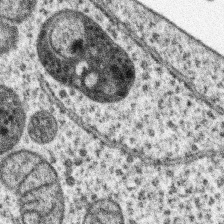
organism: Human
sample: HeLa cells